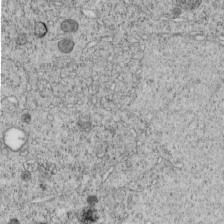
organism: C. elegans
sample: C. elegans embryo early stage